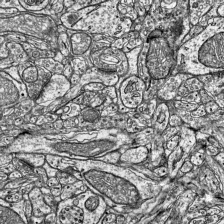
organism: Mouse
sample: Visual Cortex